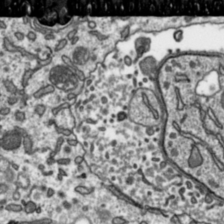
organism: Toxoplasma gondii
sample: Parasites in a vacuole inside a host cell